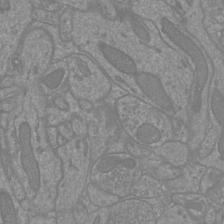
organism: Mouse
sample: Cortical neurons